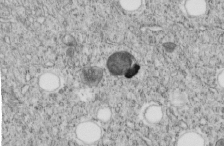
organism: C. elegans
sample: C. elegans embryo early stage